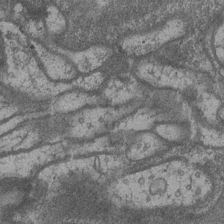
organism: Drosophila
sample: Optic medulla